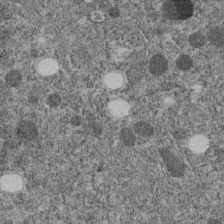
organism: C. elegans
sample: C. elegans embryo early stage